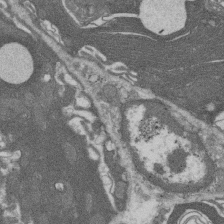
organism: Rat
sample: Salivary granule